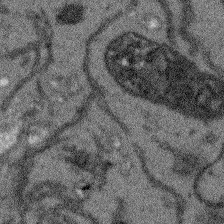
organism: Arabidopsis thaliana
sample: Root tip